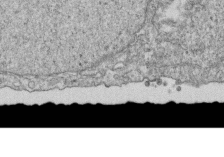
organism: Human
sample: HeLa cell HIV synapse